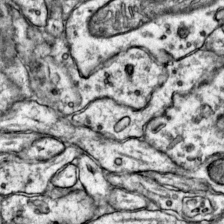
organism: Mouse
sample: Primary visual cortex